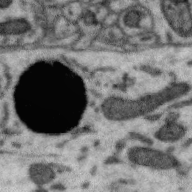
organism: Zebra finch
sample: Brain